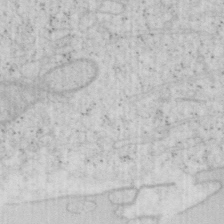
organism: Human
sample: HeLa cells